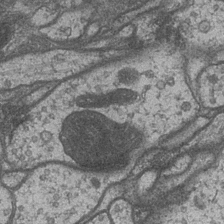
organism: Drosophila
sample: Optic medulla